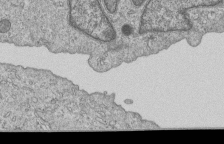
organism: Human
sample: MDA-MB-231 cells